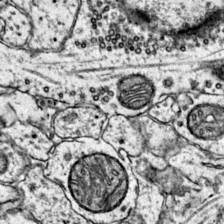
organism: Mouse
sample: Primary visual cortex